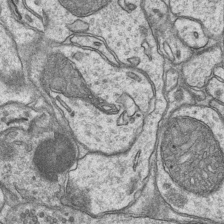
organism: Mouse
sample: CA1 Hippocampus